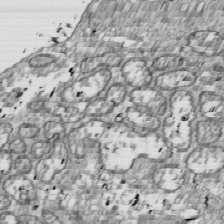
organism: Drosophila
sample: Cell division; meiosis; drosophila spermatocytes